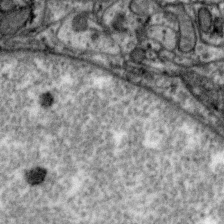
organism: Zebra finch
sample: Brain